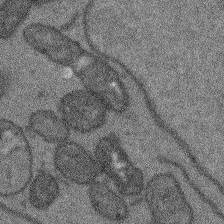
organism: Arabidopsis thaliana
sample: Root tip